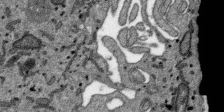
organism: Human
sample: Lung epithelial cells, uninfected (mock) control